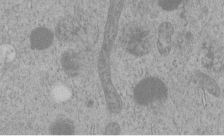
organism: C. elegans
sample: C. elegans embryo early stage